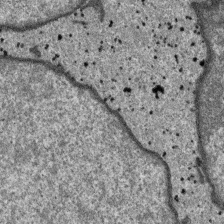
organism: Human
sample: Lung epithelial cells, uninfected (mock) control